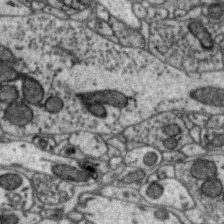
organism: Zebra finch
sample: Brain